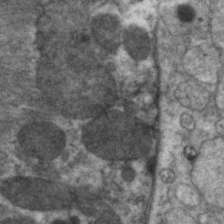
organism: C. elegans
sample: Pharynx